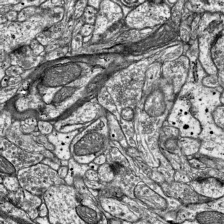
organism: Mouse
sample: Visual Cortex